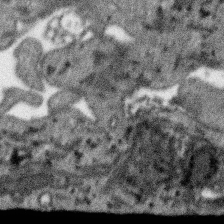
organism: Human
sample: Lung epithelial cells infected with SARS-CoV-2